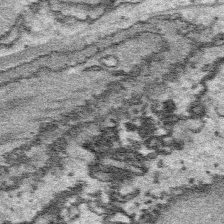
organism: Platynereis dumerilii